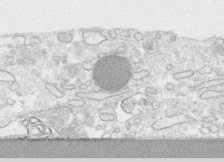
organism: Human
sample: CRL-1474